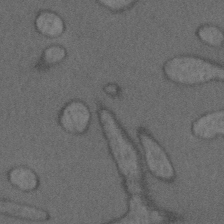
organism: Human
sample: HeLa cells